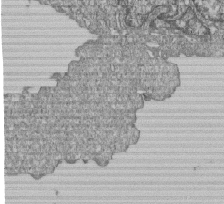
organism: Human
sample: MDA-MB-231 cells